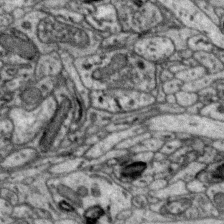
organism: Zebra finch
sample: Brain